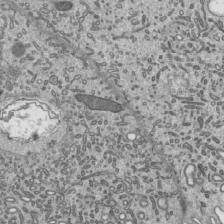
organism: Mouse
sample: Mouse epididymis efferent ductule cilia